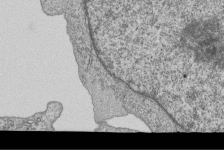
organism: Human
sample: MDA-MB-231 cells